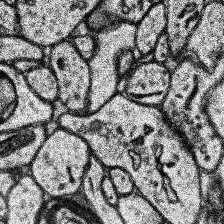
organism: Human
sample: Temporal Lobe